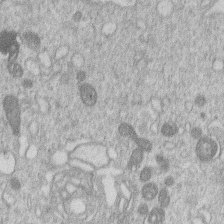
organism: Human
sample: Macrophage cells